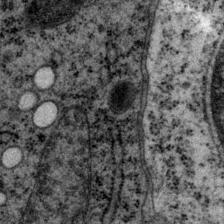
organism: P. pacificus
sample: Pharynx